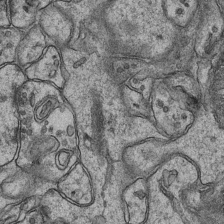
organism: Mouse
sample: CA1 Hippocampus